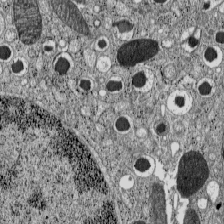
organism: C57BL Mouse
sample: Pancreatic islet